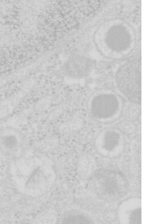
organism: Mouse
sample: Pancreas